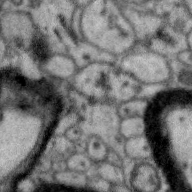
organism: Zebra finch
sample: Brain